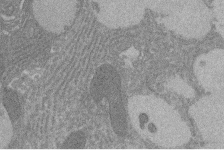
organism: Rat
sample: Salivary granule